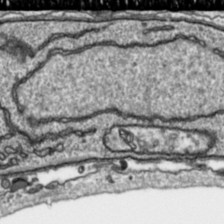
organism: Toxoplasma gondii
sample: Parasites in a vacuole inside a host cell